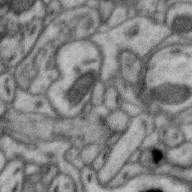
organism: Zebra finch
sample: Brain